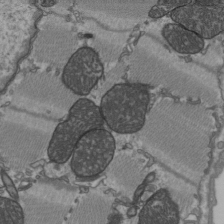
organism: C57BL Mouse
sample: Heart